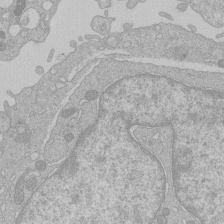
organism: Human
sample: Macrophage cells